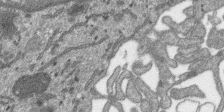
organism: Human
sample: Lung epithelial cells infected with SARS-CoV-2